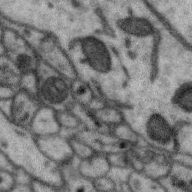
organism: Zebra finch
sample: Brain